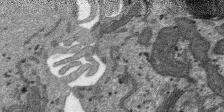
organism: Human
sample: Lung epithelial cells infected with SARS-CoV-2